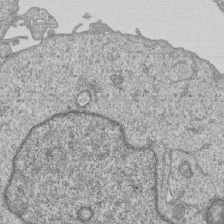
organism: Human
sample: MDA-MB-231 cells